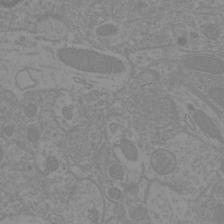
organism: Mouse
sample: Cortical neurons